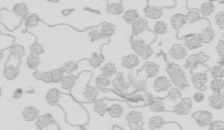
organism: Mouse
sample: Multiciliated cells